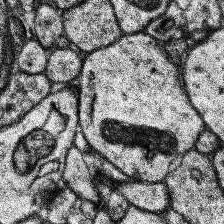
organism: Human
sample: Temporal Lobe